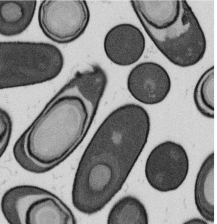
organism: B. subtilis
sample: Bacterial spore